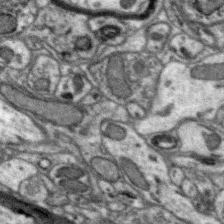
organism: Zebra finch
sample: Brain